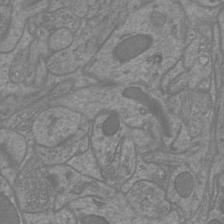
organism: Mouse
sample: Cortical neurons